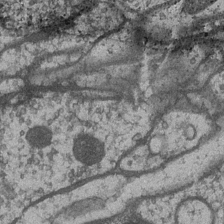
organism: Drosophila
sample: Optic medulla